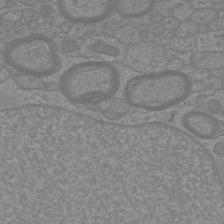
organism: Mouse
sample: Cortical neurons